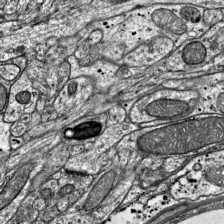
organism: Mouse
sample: Visual Cortex